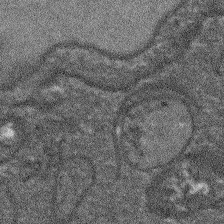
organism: Arabidopsis thaliana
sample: Root tip